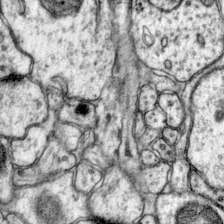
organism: Mouse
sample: Primary visual cortex